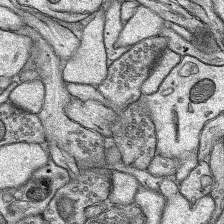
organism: Rat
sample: Hippocampus